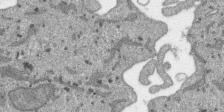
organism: Human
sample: Lung epithelial cells infected with SARS-CoV-2